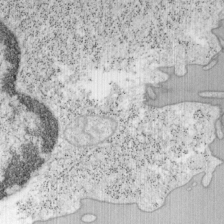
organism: Mouse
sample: OT-I killer T cells with ID8 ovarian cancer cells